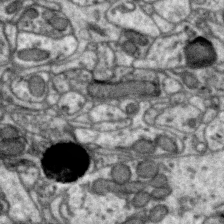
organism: Zebra finch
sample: Brain